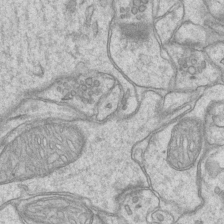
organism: Mouse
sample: CA1 Hippocampus